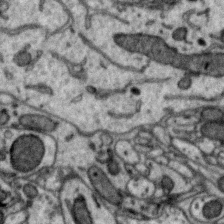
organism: Zebra finch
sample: Brain